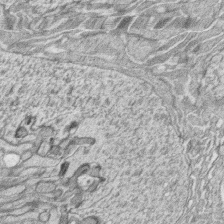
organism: Zebrafish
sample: synaptic ribbons in rod cells and cone cells